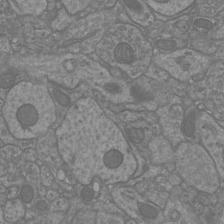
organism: Mouse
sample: Cortical neurons